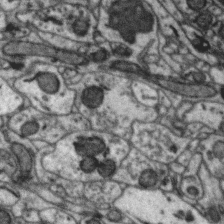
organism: Zebra finch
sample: Brain